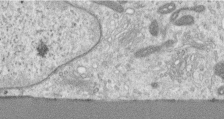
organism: Human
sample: Centriole in RPE cells